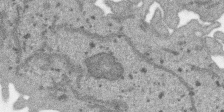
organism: Human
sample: Lung epithelial cells infected with SARS-CoV-2